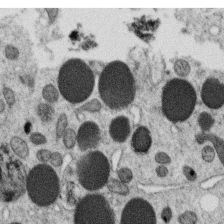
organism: C. elegans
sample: C. elegans oocyte; sperm cells